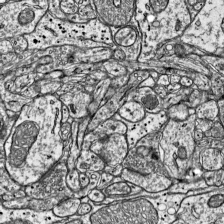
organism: Mouse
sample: Visual Cortex